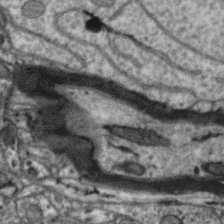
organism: Zebra finch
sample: Brain